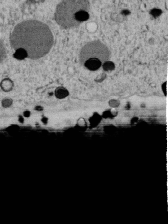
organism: C. elegans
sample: C. elegans embryo early stage